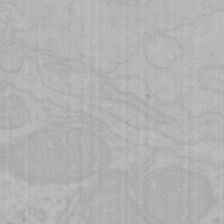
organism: Mouse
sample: Choroid plexus